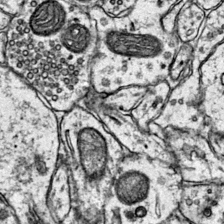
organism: Mouse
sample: Primary visual cortex